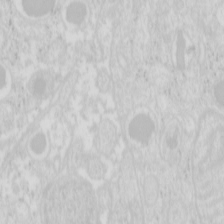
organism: Mouse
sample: Pancreas